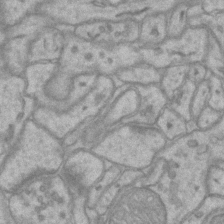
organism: Mouse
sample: CA1 Hippocampus